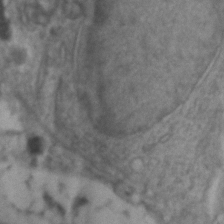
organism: Zebrafish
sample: Zebrafish embryo